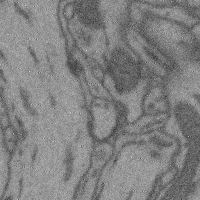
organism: Mouse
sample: Cerebral cortex